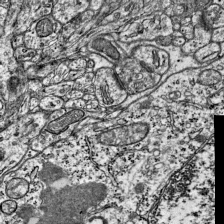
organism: Mouse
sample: Visual Cortex